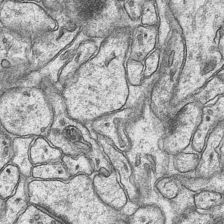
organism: Mouse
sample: CA1 Hippocampus